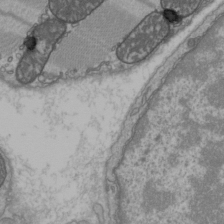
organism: C57BL Mouse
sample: Heart